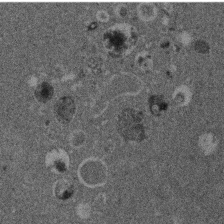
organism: Mouse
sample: Dividing mouse embryo 1 cell stage